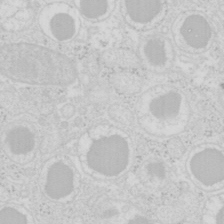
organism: Mouse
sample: Pancreas